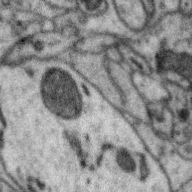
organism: Zebra finch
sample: Brain